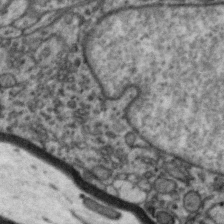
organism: Zebra finch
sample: Brain